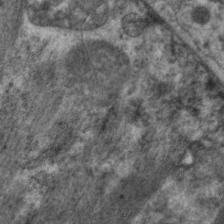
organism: C. elegans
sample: Pharynx